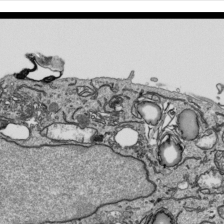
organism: Human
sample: Mitochondria in HCT116 cells